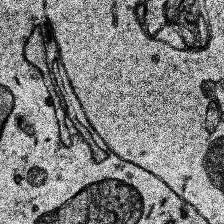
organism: Human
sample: Temporal Lobe